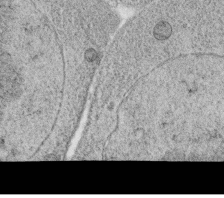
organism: C. elegans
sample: C. elegans oocyte; sperm cells